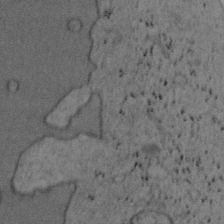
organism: Human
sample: HeLa cells